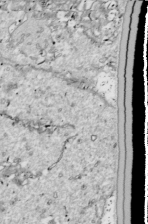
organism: Drosophila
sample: Cell division; meiosis; drosophila spermatocytes